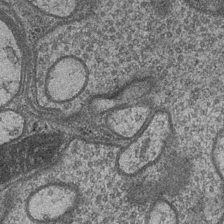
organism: Drosophila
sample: Optic medulla